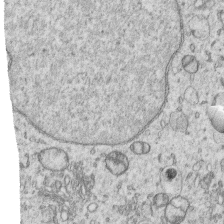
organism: Human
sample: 1205lu cells